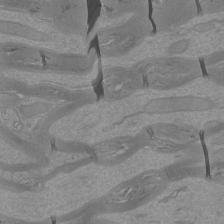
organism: Mouse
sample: Cortical neurons